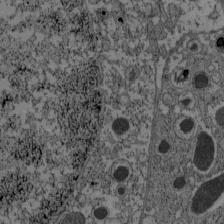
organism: C57BL Mouse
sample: Pancreatic islet